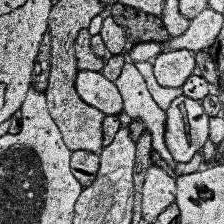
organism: Human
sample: Temporal Lobe